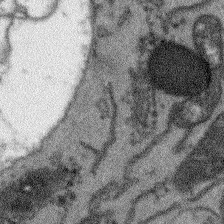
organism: Arabidopsis thaliana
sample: Root tip